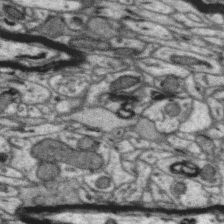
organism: Zebra finch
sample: Brain